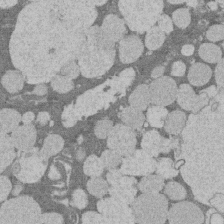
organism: Rat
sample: Salivary granule